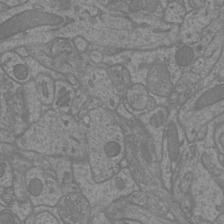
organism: Mouse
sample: Cortical neurons